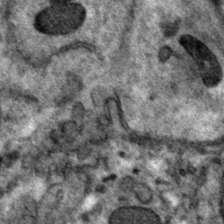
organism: Mouse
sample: Mouse hepatocytes